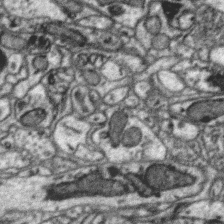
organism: Zebra finch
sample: Brain